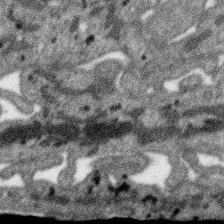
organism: Human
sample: Lung epithelial cells infected with SARS-CoV-2